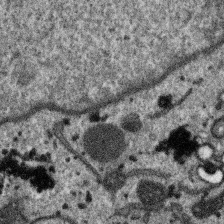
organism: Human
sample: Lung epithelial cells infected with SARS-CoV-2